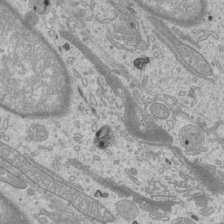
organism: Mouse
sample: Cilia; mouse epididymis